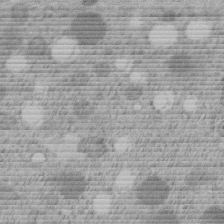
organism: C. elegans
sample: C. elegans embryo early stage